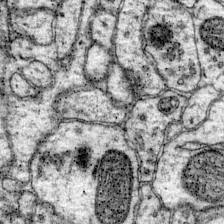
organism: Mouse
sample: Primary visual cortex